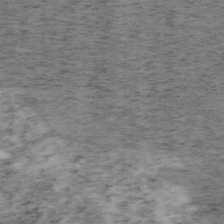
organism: Mouse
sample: OT-I killer T cells with ID8 ovarian cancer cells